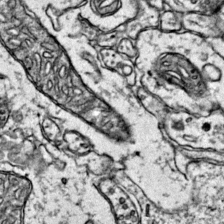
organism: Mouse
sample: Primary visual cortex